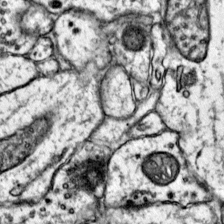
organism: Mouse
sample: Primary visual cortex